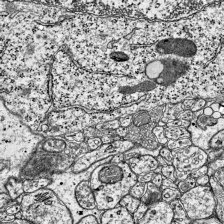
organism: Mouse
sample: Visual Cortex